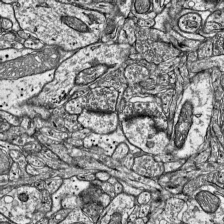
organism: Mouse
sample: Visual Cortex